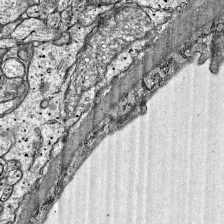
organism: Mouse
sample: Visual Cortex